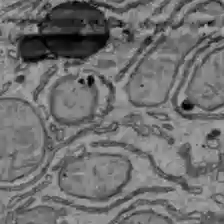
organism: C57BL Mouse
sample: Liver